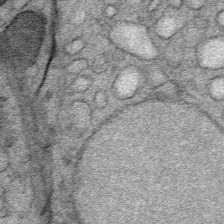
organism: Mouse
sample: Mouse Salivary gland